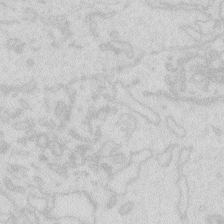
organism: Zebrafish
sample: Macrophage